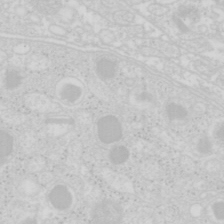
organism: Mouse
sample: Pancreas